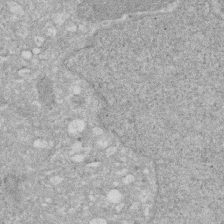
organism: Human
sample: HIV infected U937 cells